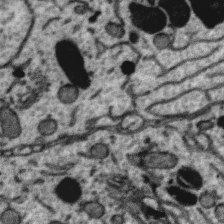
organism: Zebra finch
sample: Brain